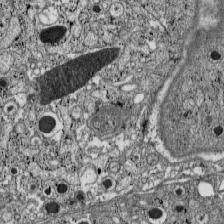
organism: C57BL Mouse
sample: Pancreatic islet